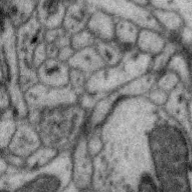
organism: Zebra finch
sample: Brain